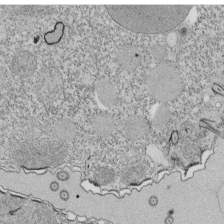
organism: Tetrahymena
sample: Cilia in tetrahymena